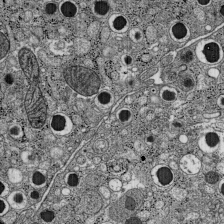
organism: C57BL Mouse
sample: Pancreatic islet